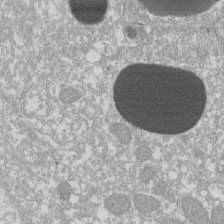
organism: Xenopus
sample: Cilia; centrioles in frog embryo cells